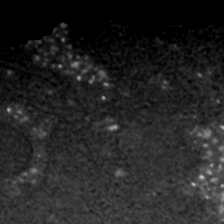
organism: C. elegans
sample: C. elegans embryo